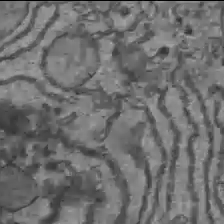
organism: C57BL Mouse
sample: Liver